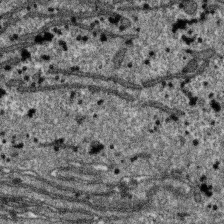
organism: Human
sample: Lung epithelial cells infected with SARS-CoV-2